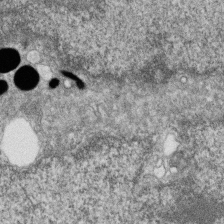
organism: Zebrafish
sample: Cilia; retinal pigment epithelium